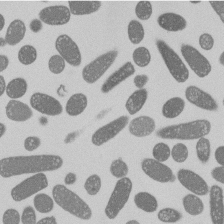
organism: E. coli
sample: Bacterial nucleoid